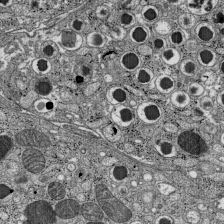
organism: C57BL Mouse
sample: Pancreatic islet